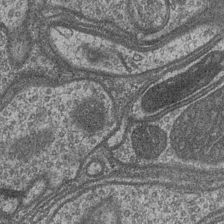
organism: Drosophila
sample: Optic medulla